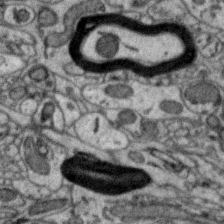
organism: Zebra finch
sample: Brain